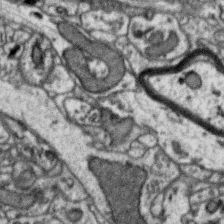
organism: Zebra finch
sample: Brain